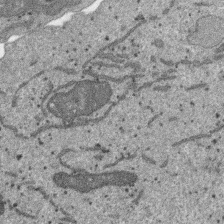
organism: Human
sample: Lung epithelial cells infected with SARS-CoV-2